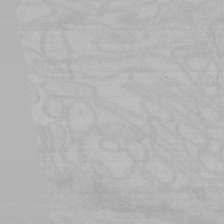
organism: Mouse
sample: Choroid plexus